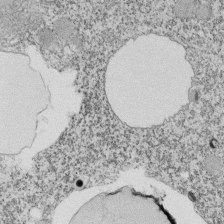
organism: Tetrahymena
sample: Cilia in tetrahymena